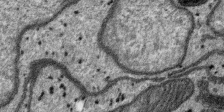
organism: Human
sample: Lung epithelial cells, uninfected (mock) control